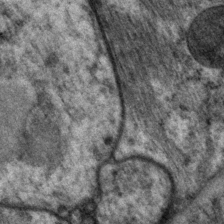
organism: P. pacificus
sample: Pharynx